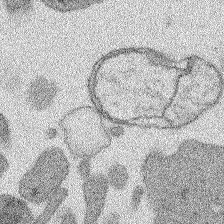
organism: Human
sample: HeLa cells